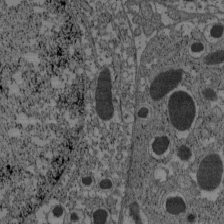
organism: C57BL Mouse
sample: Pancreatic islet